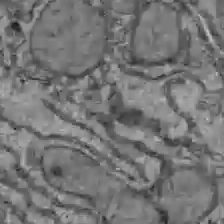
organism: C57BL Mouse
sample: Liver